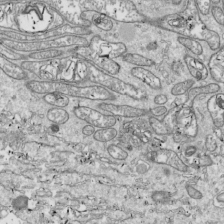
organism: Drosophila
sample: Cell division; meiosis; drosophila spermatocytes